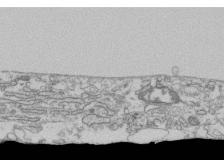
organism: Human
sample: Fibroblast cells